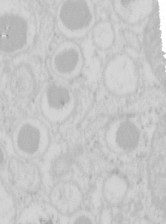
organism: Mouse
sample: Pancreas